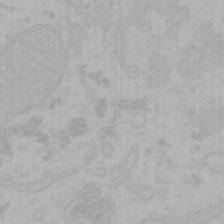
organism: Mouse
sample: Choroid plexus